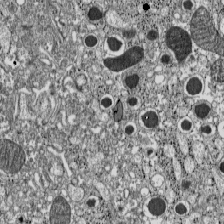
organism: C57BL Mouse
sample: Pancreatic islet